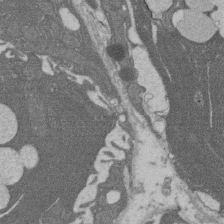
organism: Rat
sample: Salivary granule